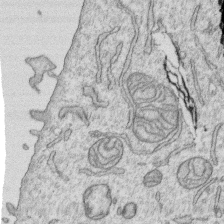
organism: Human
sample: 1205lu cells